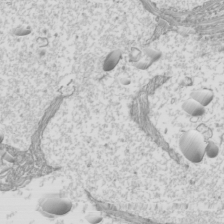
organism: Mouse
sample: Cilia; mouse epididymis